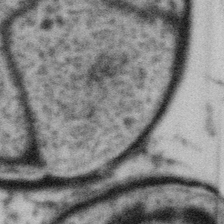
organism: Gemmata obscuriglobus